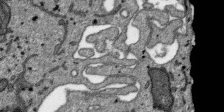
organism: Human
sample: Lung epithelial cells, uninfected (mock) control